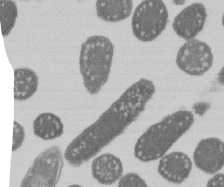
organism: E. coli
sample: Bacterial nucleoid